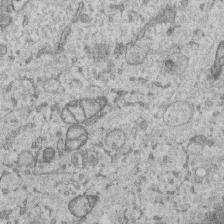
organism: Human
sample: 1205lu cells